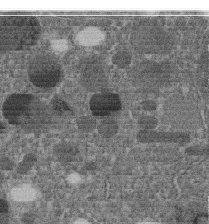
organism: C. elegans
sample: C. elegans embryo early stage